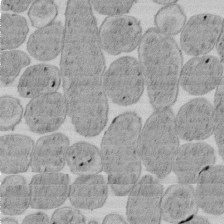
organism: E. coli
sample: Bacterial nucleoid